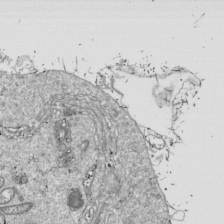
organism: Drosophila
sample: Cell division; meiosis; drosophila spermatocytes